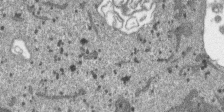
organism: Human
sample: Lung epithelial cells infected with SARS-CoV-2